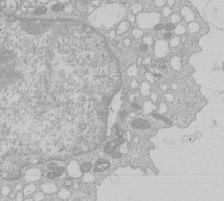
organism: Human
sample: Macrophage cells